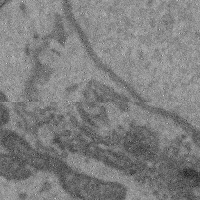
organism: Mouse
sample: Cerebral cortex